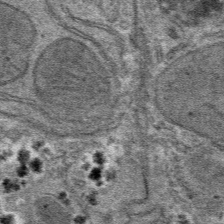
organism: Mouse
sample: Mouse hepatocytes